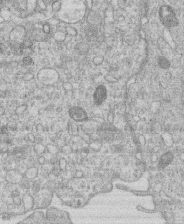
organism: Human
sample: Macrophage cells